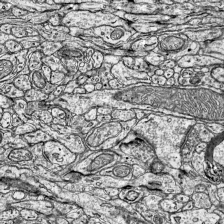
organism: Mouse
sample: Visual Cortex